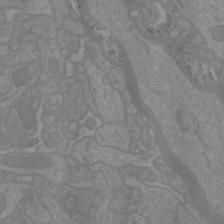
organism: Mouse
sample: Cortical neurons